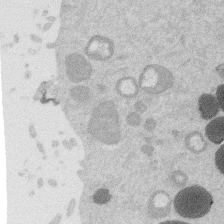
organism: Mouse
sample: Dividing mouse embryo 1 cell stage